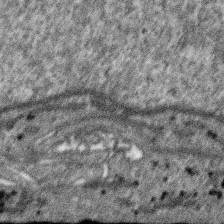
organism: Human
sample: Lung epithelial cells infected with SARS-CoV-2